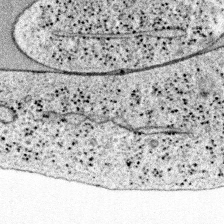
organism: Human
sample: HeLa cells